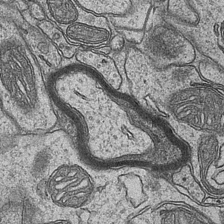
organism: Mouse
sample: CA1 Hippocampus